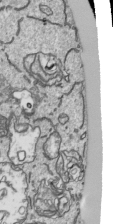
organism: Human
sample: Mitochondria in HCT116 cells